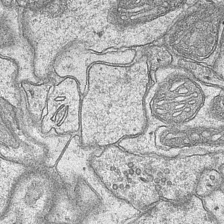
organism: Mouse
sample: CA1 Hippocampus